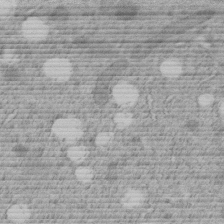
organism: C. elegans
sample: C. elegans embryo early stage